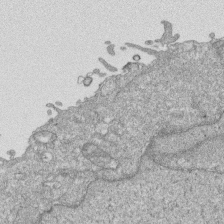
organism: Human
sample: HeLa cell HIV synapse